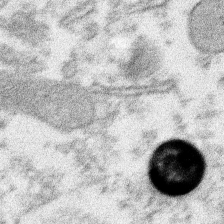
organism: Xenopus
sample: Cilia; centrioles in frog embryo cells